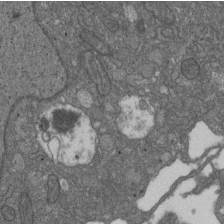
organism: Drosophila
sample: Nephrocyte